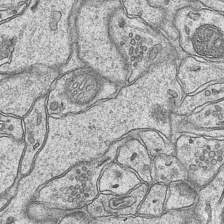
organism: Mouse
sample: CA1 Hippocampus